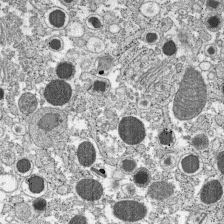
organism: C57BL Mouse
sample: Pancreatic islet